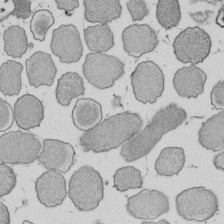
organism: E. coli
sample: Bacterial nucleoid